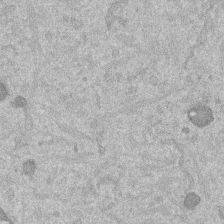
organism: Mouse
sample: Dividing mouse embryo 1 cell stage